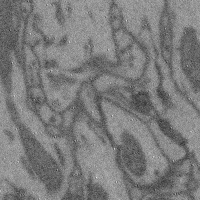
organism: Mouse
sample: Cerebral cortex